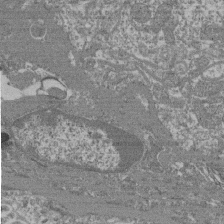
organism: Mouse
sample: Glomerulus